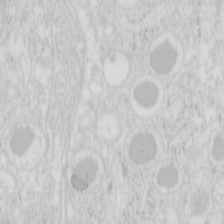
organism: Mouse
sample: Pancreas